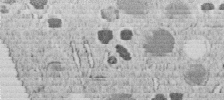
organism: C. elegans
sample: C. elegans embryo early stage